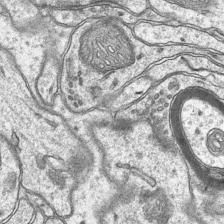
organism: Mouse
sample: CA1 Hippocampus